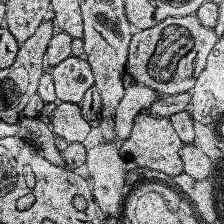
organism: Human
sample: Temporal Lobe